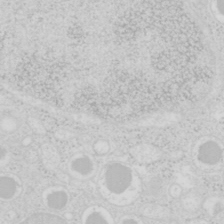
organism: Mouse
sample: Pancreas